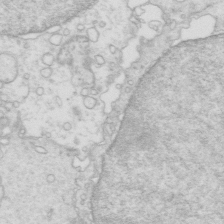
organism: Mouse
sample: Multiciliated cells